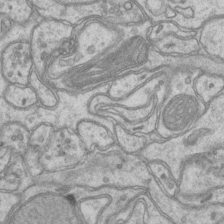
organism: Mouse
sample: CA1 Hippocampus